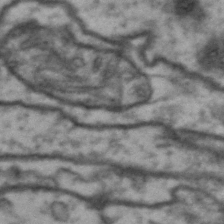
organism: Drosophila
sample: Brain